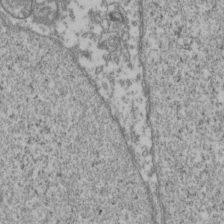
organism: Human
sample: Activated Jurkat CD4+ T cells